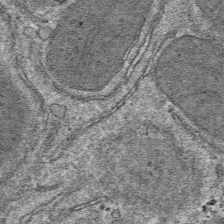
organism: Mouse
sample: Mouse hepatocytes